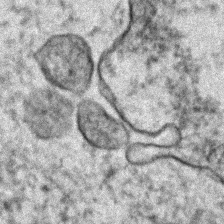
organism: Human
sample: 1205lu cells